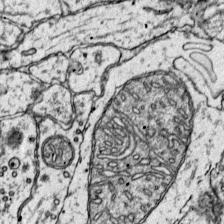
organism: Mouse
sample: Primary visual cortex